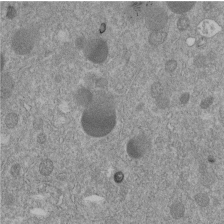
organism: C. elegans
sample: C. elegans embryo early stage